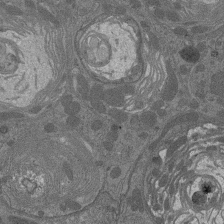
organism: Drosophila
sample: Antenna